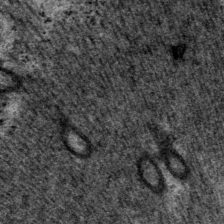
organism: P. pacificus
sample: Pharynx